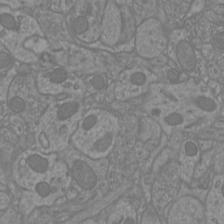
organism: Mouse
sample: Cortical neurons